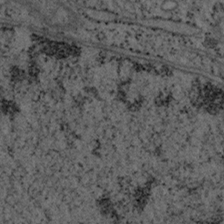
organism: Human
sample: HeLa cells